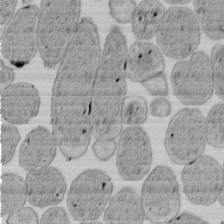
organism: E. coli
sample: Bacterial nucleoid